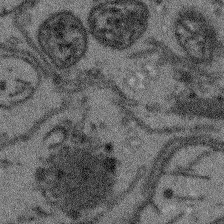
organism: Arabidopsis thaliana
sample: Root tip